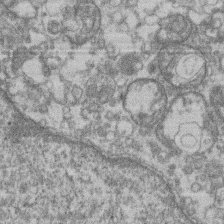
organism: Mouse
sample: T cell stromal cell synapse